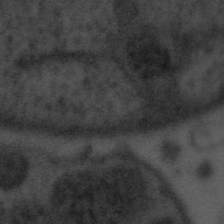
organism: Tuwongella immobilis